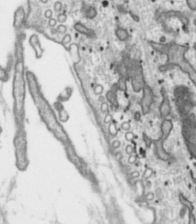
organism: Toxoplasma gondii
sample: Parasites in a vacuole inside a host cell